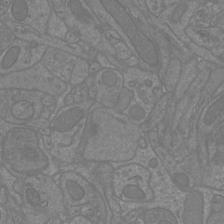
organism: Mouse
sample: Cortical neurons